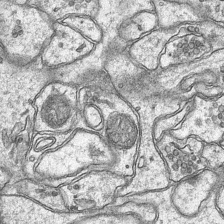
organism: Mouse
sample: CA1 Hippocampus